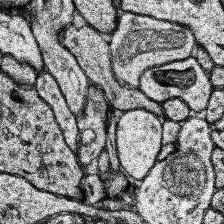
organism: Human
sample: Temporal Lobe